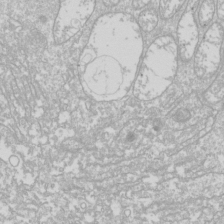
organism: Drosophila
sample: Cell division; meiosis; drosophila spermatocytes